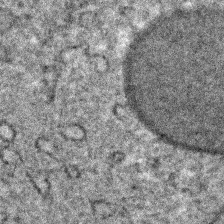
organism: C. elegans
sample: C. elegans embryo